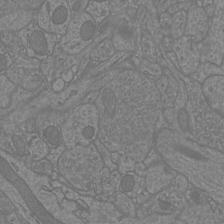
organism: Mouse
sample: Cortical neurons